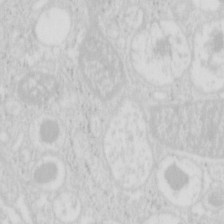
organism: Mouse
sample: Pancreas